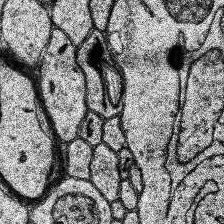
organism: Human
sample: Temporal Lobe